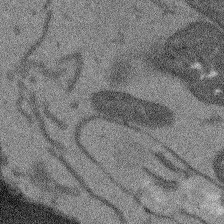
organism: Arabidopsis thaliana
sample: Root tip